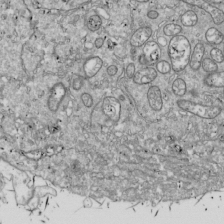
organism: Drosophila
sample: Cell division; meiosis; drosophila spermatocytes